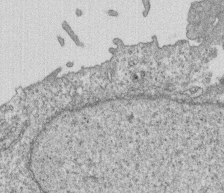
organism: Human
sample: HeLa cell HIV synapse